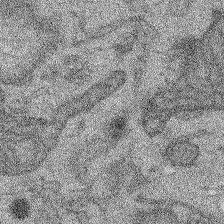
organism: Human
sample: HeLa cells